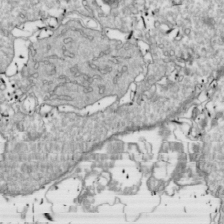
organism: Drosophila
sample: Cell division; meiosis; drosophila spermatocytes